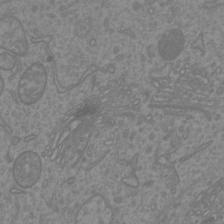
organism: Mouse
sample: Cortical neurons